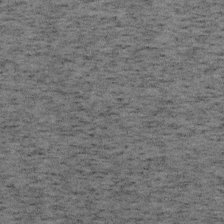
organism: Mouse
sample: OT-I killer T cells with ID8 ovarian cancer cells